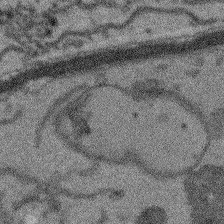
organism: Arabidopsis thaliana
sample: Root tip